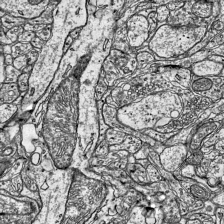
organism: Mouse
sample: Visual Cortex